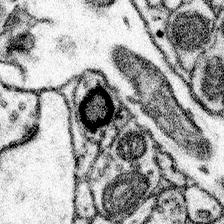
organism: Mouse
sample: Somatosensory cortex neuropil